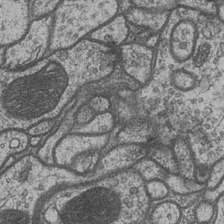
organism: Drosophila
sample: Optic medulla